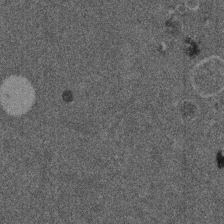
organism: Mouse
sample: Dividing mouse embryo 1 cell stage